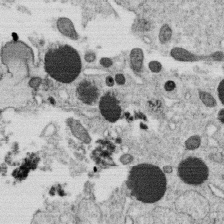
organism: C. elegans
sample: C. elegans oocyte; sperm cells